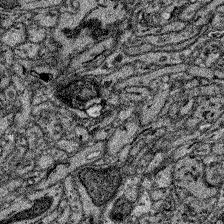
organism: Zebrafish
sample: Larval olfactory bulb